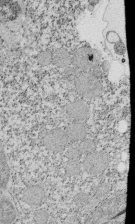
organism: Tetrahymena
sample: Cilia in tetrahymena